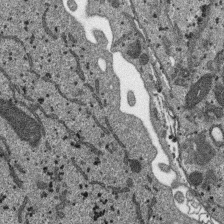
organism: Human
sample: Lung epithelial cells infected with SARS-CoV-2